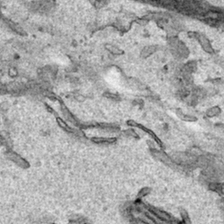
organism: Human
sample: Mitochondria in HCT116 cells